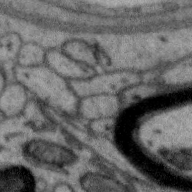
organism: Zebra finch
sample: Brain